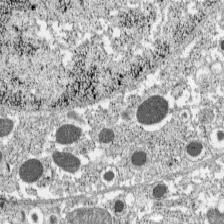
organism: C57BL Mouse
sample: Pancreatic islet